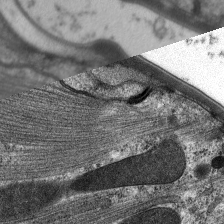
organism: C. elegans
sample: Pharynx